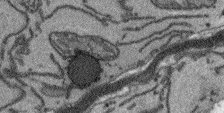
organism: Arabidopsis thaliana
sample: Root tip